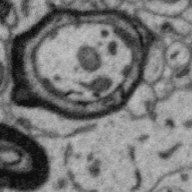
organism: Zebra finch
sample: Brain